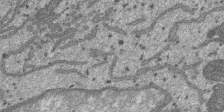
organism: Human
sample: Lung epithelial cells infected with SARS-CoV-2